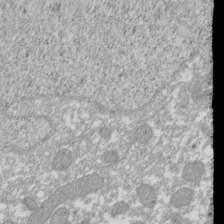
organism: Xenopus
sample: Cilia; centrioles in frog embryo cells